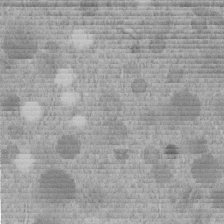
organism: C. elegans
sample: C. elegans embryo early stage